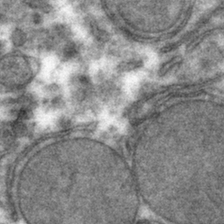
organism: Mouse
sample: Mouse hepatocytes